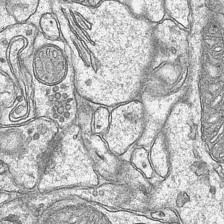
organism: Mouse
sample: CA1 Hippocampus